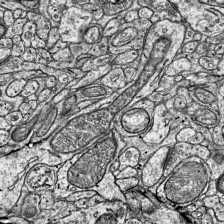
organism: Mouse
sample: Visual Cortex